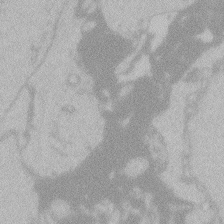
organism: Zebrafish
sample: Macrophage infected with Toxoplasma gondii